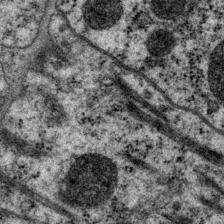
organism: P. pacificus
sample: Pharynx